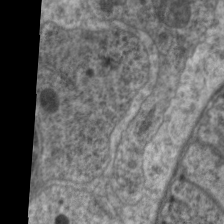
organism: C. elegans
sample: Pharynx